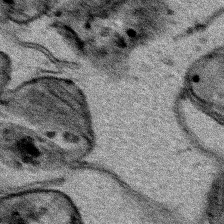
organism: Human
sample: Mitochondria in HCT116 cells